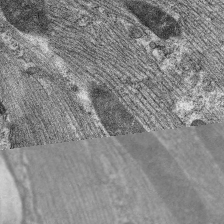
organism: C. elegans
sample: Pharynx